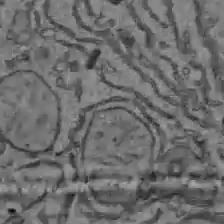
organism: C57BL Mouse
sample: Liver